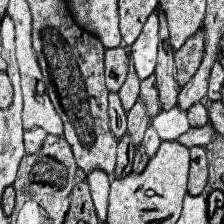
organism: Human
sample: Temporal Lobe